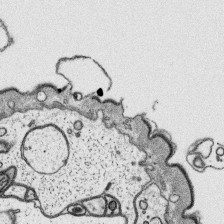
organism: Platynereis dumerilii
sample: Parapodia